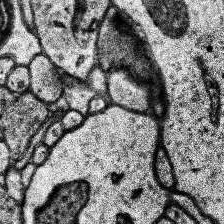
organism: Human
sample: Temporal Lobe